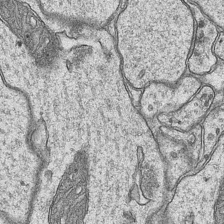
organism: Mouse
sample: CA1 Hippocampus